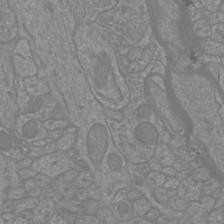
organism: Mouse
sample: Cortical neurons